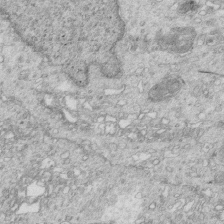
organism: Mouse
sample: Multiciliated cells